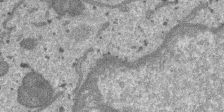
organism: Human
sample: Lung epithelial cells infected with SARS-CoV-2